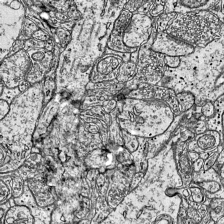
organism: Mouse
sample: Visual Cortex